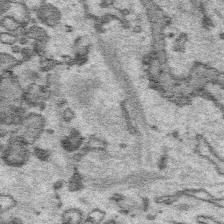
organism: Platynereis dumerilii